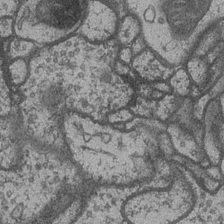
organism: Drosophila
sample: Optic medulla